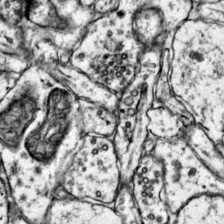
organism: Mouse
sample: Primary visual cortex